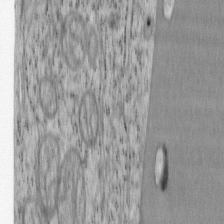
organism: Human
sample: HeLa cells